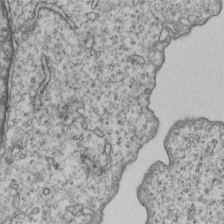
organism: Human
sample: MDA-MB-231 cells